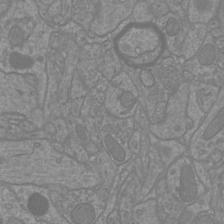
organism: Mouse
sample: Cortical neurons